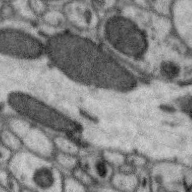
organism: Zebra finch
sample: Brain